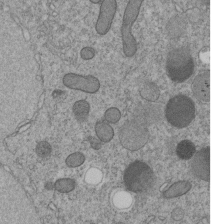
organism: C. elegans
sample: C. elegans embryo early stage